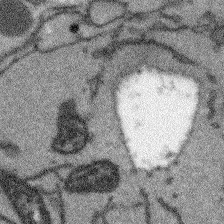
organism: Arabidopsis thaliana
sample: Root tip